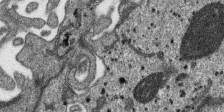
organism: Human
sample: Lung epithelial cells infected with SARS-CoV-2